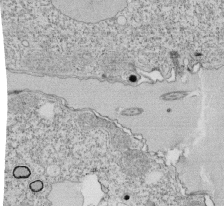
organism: Tetrahymena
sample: Cilia in tetrahymena